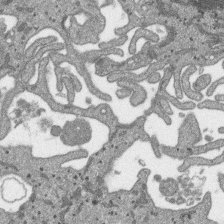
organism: Human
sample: Lung epithelial cells infected with SARS-CoV-2